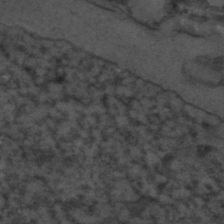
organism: C. elegans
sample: C. elegans embryo